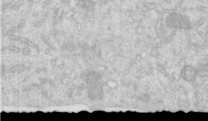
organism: Human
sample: Centriole in RPE cells